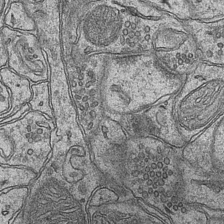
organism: Mouse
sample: CA1 Hippocampus